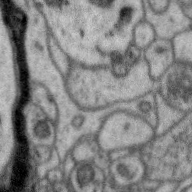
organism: Zebra finch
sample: Brain